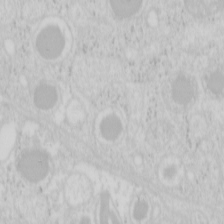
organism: Mouse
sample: Pancreas